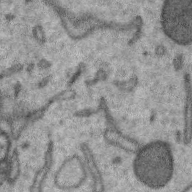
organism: Zebra finch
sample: Brain